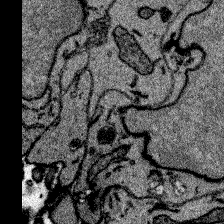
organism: Zebrafish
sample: Larval olfactory bulb